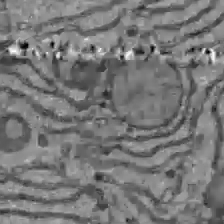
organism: C57BL Mouse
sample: Liver